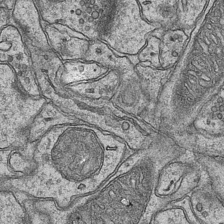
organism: Mouse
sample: CA1 Hippocampus